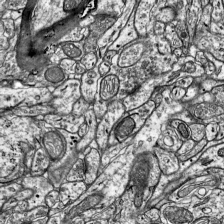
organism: Mouse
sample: Visual Cortex